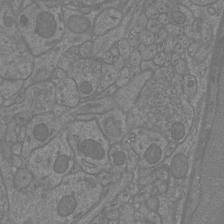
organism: Mouse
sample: Cortical neurons